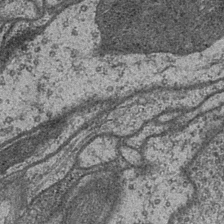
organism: Drosophila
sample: Optic medulla